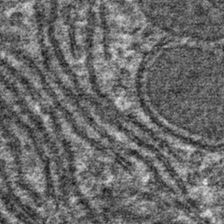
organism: Mouse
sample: Mouse hepatocytes